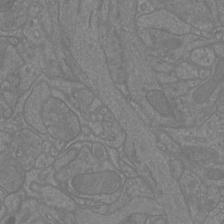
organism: Mouse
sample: Cortical neurons